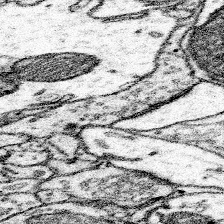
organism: Mouse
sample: Somatosensory cortex neuropil